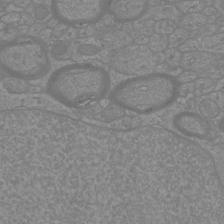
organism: Mouse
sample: Cortical neurons